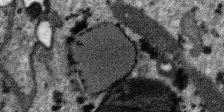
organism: Human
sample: Lung epithelial cells infected with SARS-CoV-2